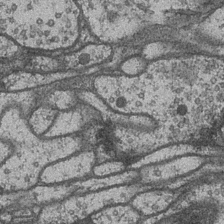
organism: Drosophila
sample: Optic medulla